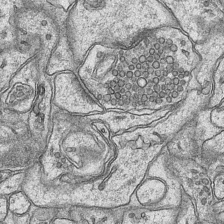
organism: Mouse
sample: CA1 Hippocampus